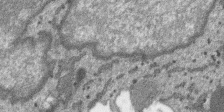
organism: Human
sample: Lung epithelial cells infected with SARS-CoV-2